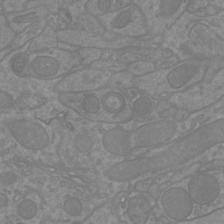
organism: Mouse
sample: Cortical neurons